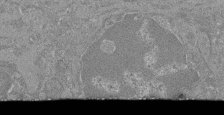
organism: Mouse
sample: Glomerulus